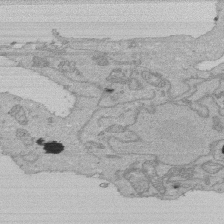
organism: Human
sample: Activated Jurkat CD4+ T cells